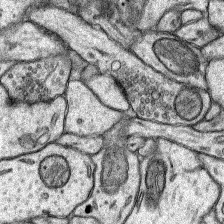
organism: Rat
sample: Hippocampus